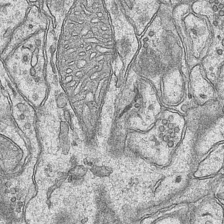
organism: Mouse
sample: CA1 Hippocampus